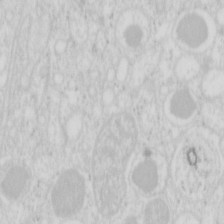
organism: Mouse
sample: Pancreas